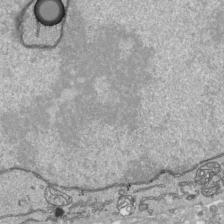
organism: Human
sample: Mitochondria in HCT116 cells